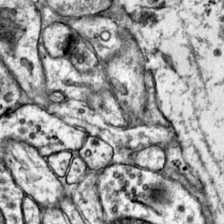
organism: Mouse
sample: Primary visual cortex